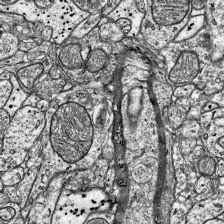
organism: Mouse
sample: Visual Cortex